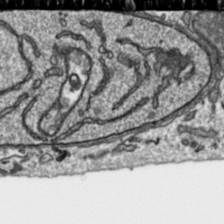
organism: Toxoplasma gondii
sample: Parasites in a vacuole inside a host cell